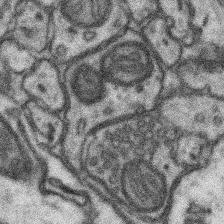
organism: Mouse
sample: Somatosensory cortex neuropil